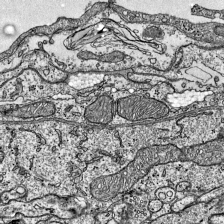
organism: Mouse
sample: Visual Cortex